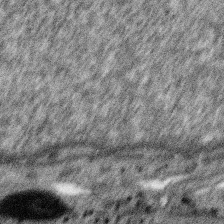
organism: Human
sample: Lung epithelial cells infected with SARS-CoV-2